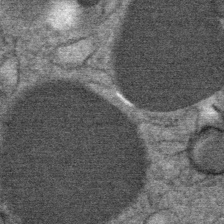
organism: Mouse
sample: Mouse Salivary gland